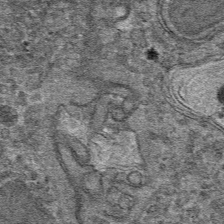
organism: Mouse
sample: Mouse hepatocytes